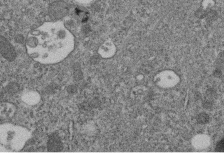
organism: C. elegans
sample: C. elegans embryo early stage